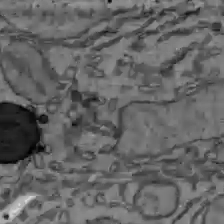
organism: C57BL Mouse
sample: Liver